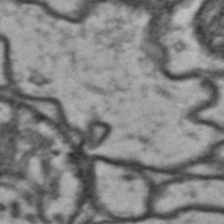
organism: Drosophila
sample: Brain